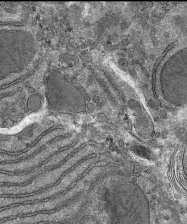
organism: Mouse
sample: Mouse hepatocytes